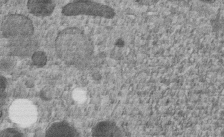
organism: C. elegans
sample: C. elegans embryo early stage